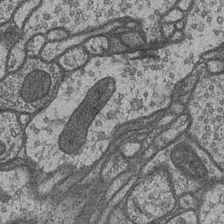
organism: Drosophila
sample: Optic medulla